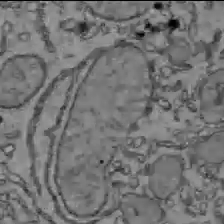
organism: C57BL Mouse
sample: Liver